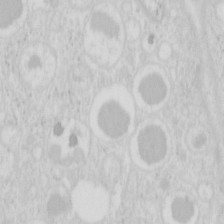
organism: Mouse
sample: Pancreas